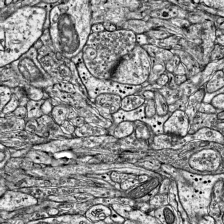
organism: Mouse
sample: Visual Cortex